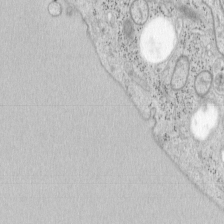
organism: Mouse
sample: OT-I killer T cells with ID8 ovarian cancer cells